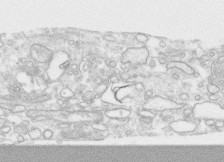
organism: Human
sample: CRL-1474